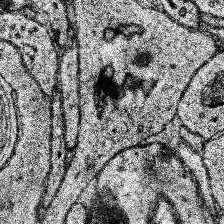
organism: Human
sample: Temporal Lobe